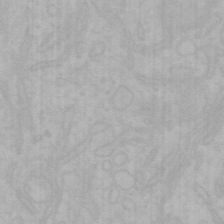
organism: Mouse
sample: Choroid plexus